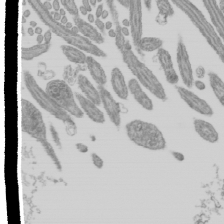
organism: Mouse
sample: Cilia; mouse epididymis